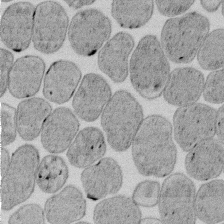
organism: E. coli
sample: Bacterial nucleoid